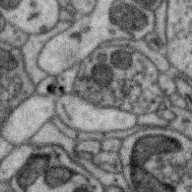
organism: Zebra finch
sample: Brain